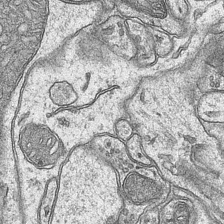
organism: Mouse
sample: CA1 Hippocampus